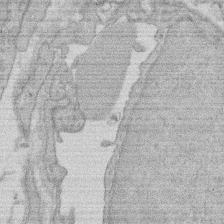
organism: Rat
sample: Salivary granule